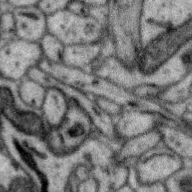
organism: Zebra finch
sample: Brain